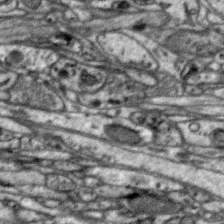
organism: Zebra finch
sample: Brain